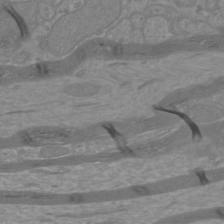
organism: Mouse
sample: Cortical neurons